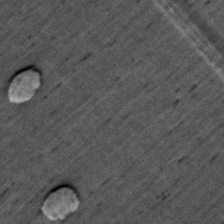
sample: Trachea